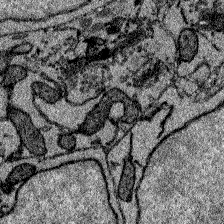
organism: Zebrafish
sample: Larval olfactory bulb